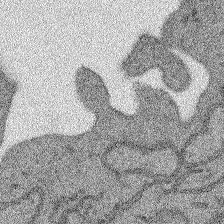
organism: Human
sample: HeLa cells